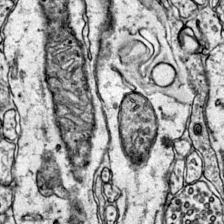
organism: Mouse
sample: Primary visual cortex